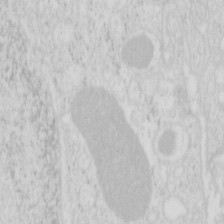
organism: Mouse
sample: Pancreas